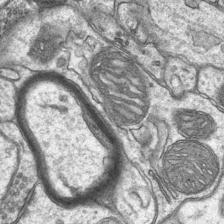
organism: Mouse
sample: CA1 Hippocampus